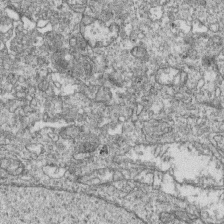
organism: Human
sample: HeLa cell HIV synapse